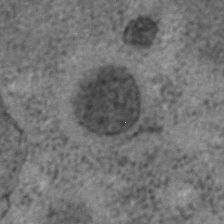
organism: C. elegans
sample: C. elegans embryo